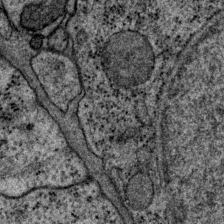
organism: P. pacificus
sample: Pharynx